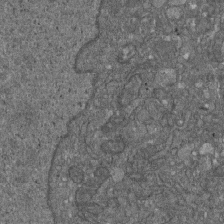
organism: Drosophila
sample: Nephrocyte